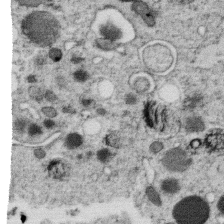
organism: C. elegans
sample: C. elegans oocyte; sperm cells